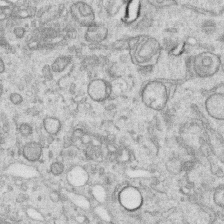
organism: Human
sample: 1205lu cells